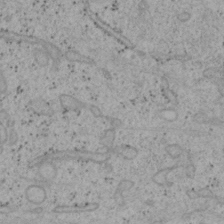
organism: Human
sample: HeLa cells